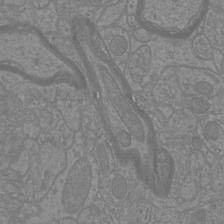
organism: Mouse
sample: Cortical neurons